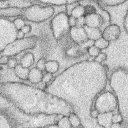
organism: Rabbit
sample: Retina